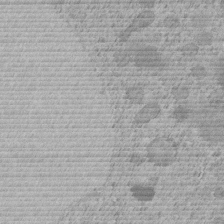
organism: C. elegans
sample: C. elegans embryo early stage